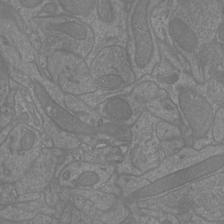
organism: Mouse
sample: Cortical neurons